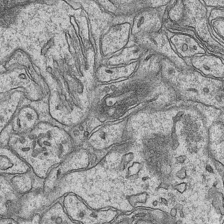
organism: Mouse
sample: CA1 Hippocampus